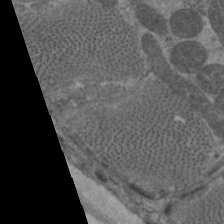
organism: C. elegans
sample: Pharynx